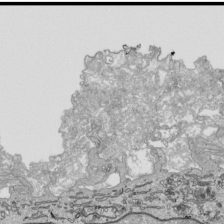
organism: Human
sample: Mitochondria in HCT116 cells